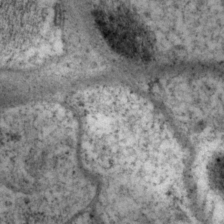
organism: P. pacificus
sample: Pharynx